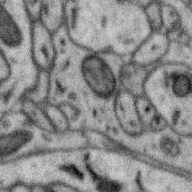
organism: Zebra finch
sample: Brain